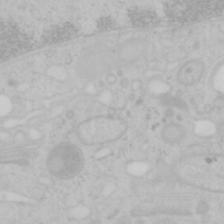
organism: Mouse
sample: OT-I killer T cells with ID8 ovarian cancer cells